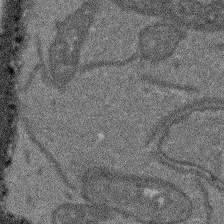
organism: Arabidopsis thaliana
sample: Root tip